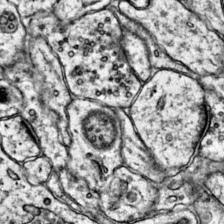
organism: Mouse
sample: Primary visual cortex